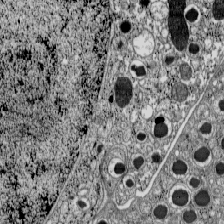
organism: C57BL Mouse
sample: Pancreatic islet